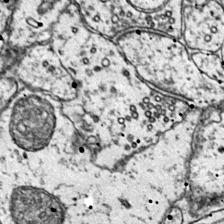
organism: Mouse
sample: Primary visual cortex